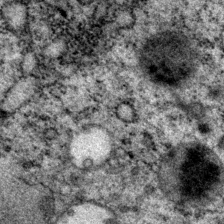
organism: P. pacificus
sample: Pharynx